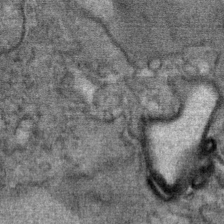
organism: Mouse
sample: Mouse Salivary gland